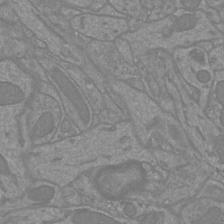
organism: Mouse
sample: Cortical neurons